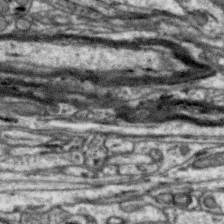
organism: Zebra finch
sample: Brain